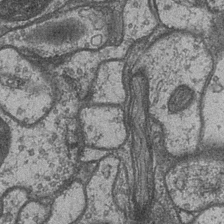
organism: Drosophila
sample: Optic medulla